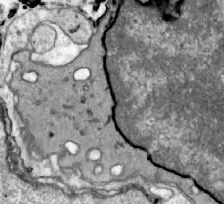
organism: Zebrafish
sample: Actinotrichia fibers